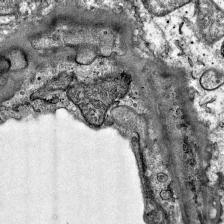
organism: Mouse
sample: Visual Cortex